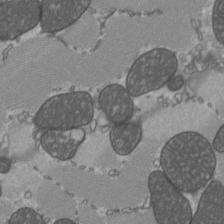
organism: C57BL Mouse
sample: Heart